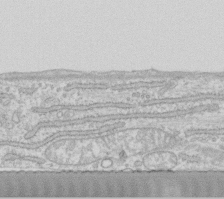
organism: Human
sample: Fibroblast cells